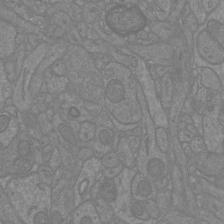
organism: Mouse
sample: Cortical neurons